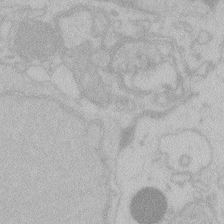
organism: Zebrafish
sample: Macrophage infected with Toxoplasma gondii